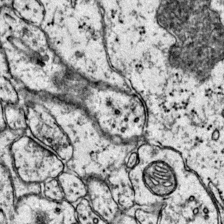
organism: Mouse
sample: Primary visual cortex